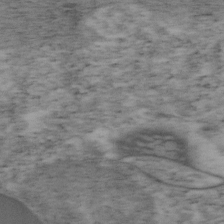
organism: Mouse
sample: OT-I killer T cells with ID8 ovarian cancer cells